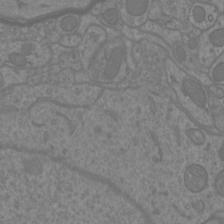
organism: Mouse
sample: Cortical neurons